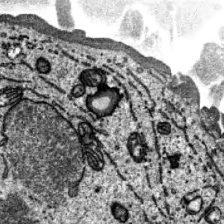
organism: Human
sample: HeLa cells